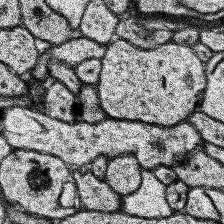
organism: Human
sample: Temporal Lobe